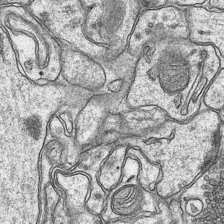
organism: Mouse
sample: CA1 Hippocampus